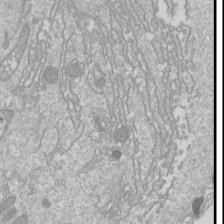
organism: Drosophila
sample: Cell division; meiosis; drosophila spermatocytes